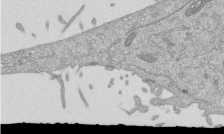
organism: Mouse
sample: ED-1 cell nuclei; centrioles